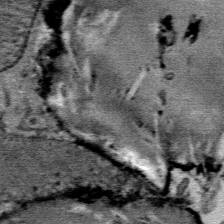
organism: Mouse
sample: Mouse Salivary gland